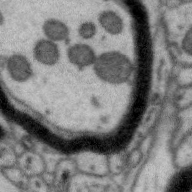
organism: Zebra finch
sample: Brain